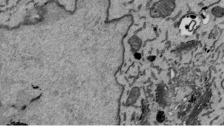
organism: Mouse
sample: ED-1 cell nuclei; centrioles